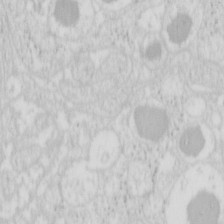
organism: Mouse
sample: Pancreas